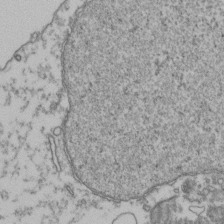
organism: Human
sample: Activated Jurkat CD4+ T cells